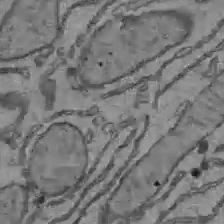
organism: C57BL Mouse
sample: Liver